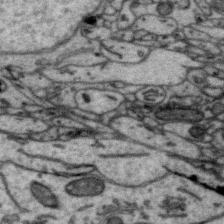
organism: Zebra finch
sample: Brain